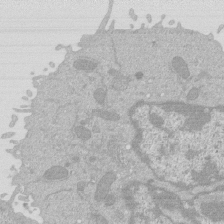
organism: Mouse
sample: Activated Pmel transgenic CD8+ T Cells